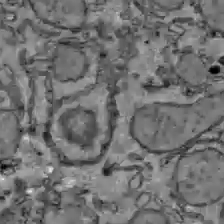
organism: C57BL Mouse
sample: Liver